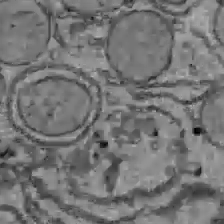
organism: C57BL Mouse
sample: Liver